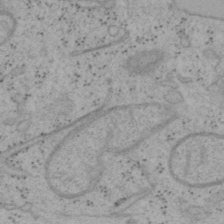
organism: Human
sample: HeLa cells